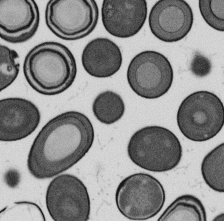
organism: B. subtilis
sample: Bacterial spore